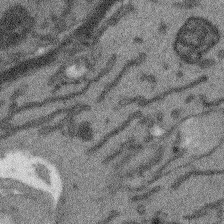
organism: Arabidopsis thaliana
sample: Root tip